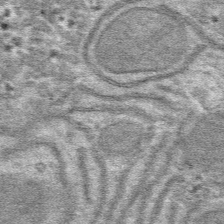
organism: Mouse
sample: Mouse hepatocytes